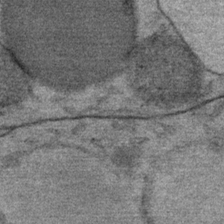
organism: Mouse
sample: Mouse Salivary gland